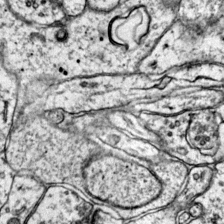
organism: Mouse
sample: Primary visual cortex